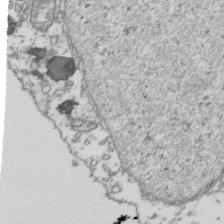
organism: Human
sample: Activated Jurkat CD4+ T cells